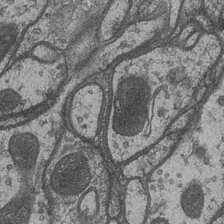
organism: Drosophila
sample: Optic medulla